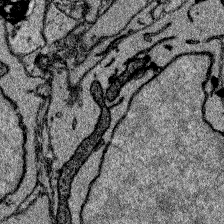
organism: Zebrafish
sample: Larval olfactory bulb